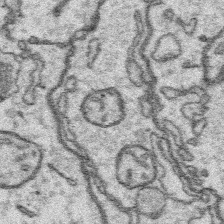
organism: Platynereis dumerilii